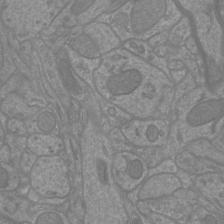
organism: Mouse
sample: Cortical neurons